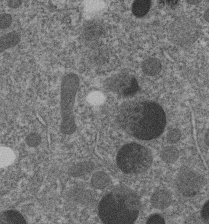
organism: C. elegans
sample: C. elegans embryo early stage